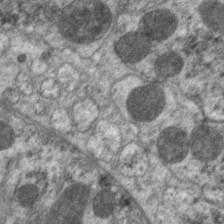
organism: C. elegans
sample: Pharynx